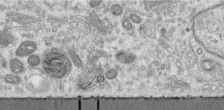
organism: Human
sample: Centriole in RPE cells